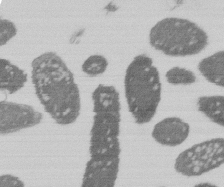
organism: E. coli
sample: Bacterial nucleoid